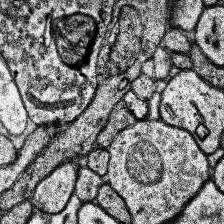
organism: Human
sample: Temporal Lobe